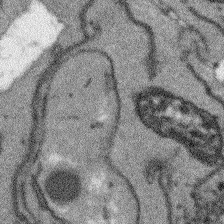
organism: Arabidopsis thaliana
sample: Root tip